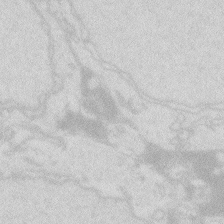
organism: Zebrafish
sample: Macrophage